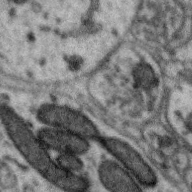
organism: Zebra finch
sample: Brain